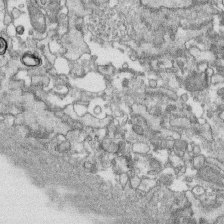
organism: Human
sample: CRL-1474